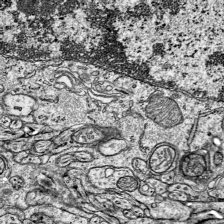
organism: Mouse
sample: Visual Cortex